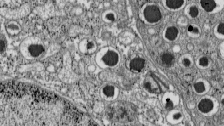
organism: C57BL Mouse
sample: Pancreatic islet